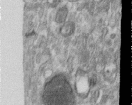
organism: Human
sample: Centriole in RPE cells